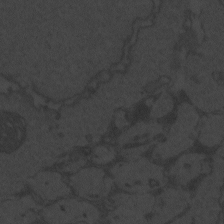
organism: Zebrafish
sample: Macrophage infected with Toxoplasma gondii